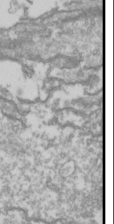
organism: Drosophila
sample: Cell division; meiosis; drosophila spermatocytes